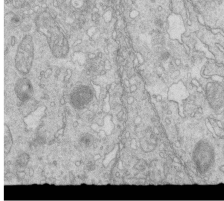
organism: Mouse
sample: Multiciliated cells